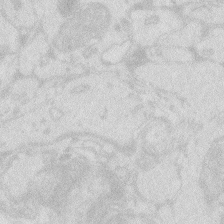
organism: Zebrafish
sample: Macrophage